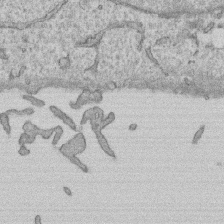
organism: Human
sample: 1205lu cells